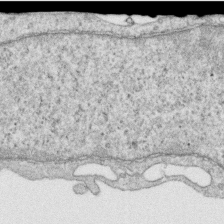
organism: Human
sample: Centriole in RPE cells